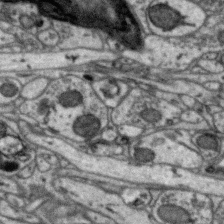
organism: Zebra finch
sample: Brain